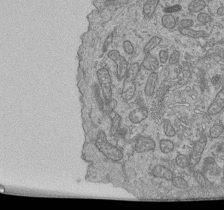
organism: Human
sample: Retinal organoid Rod and Cone cells